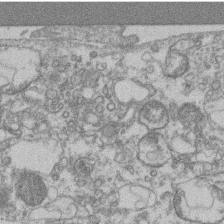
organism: Mouse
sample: T cell stromal cell synapse